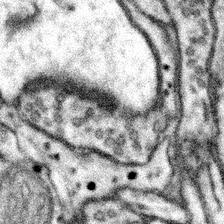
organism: Mouse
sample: Somatosensory cortex neuropil